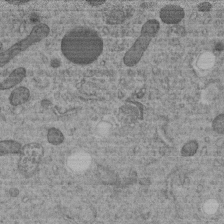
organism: C. elegans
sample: C. elegans embryo early stage